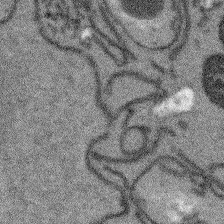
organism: Arabidopsis thaliana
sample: Root tip